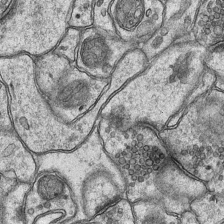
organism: Mouse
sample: CA1 Hippocampus